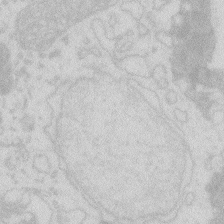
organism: Zebrafish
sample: Macrophage